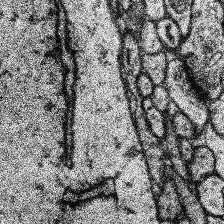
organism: Human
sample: Temporal Lobe